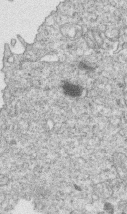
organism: Human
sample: HeLa cell HIV synapse